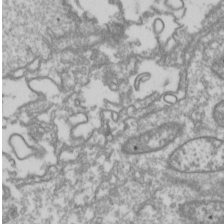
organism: Drosophila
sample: Cell division; meiosis; drosophila spermatocytes